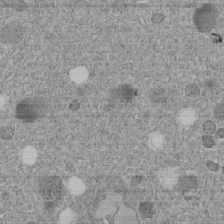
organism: C. elegans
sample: C. elegans embryo early stage